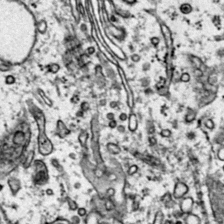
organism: Mouse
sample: Primary visual cortex